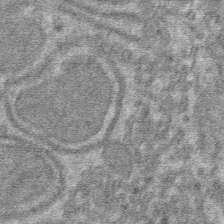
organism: Mouse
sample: Mouse hepatocytes